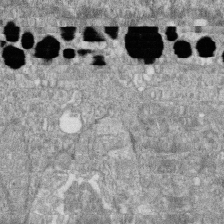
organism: Zebrafish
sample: Cilia; retinal pigment epithelium